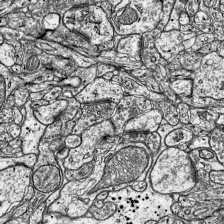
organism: Mouse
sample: Visual Cortex